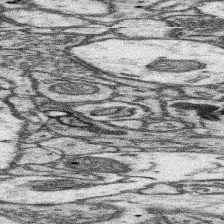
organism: Mouse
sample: Somatosensory cortex neuropil